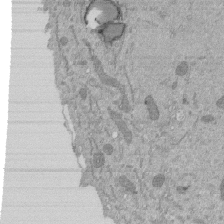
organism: Mouse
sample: ED-1 cell nuclei; centrioles